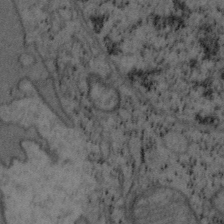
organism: Human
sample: HeLa cells